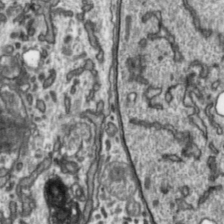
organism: Toxoplasma gondii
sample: Parasites in a vacuole inside a host cell